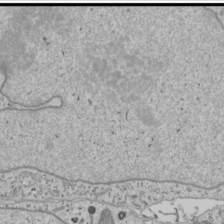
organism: Human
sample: Mitochondria in U2OS cells